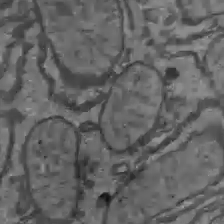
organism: C57BL Mouse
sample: Liver